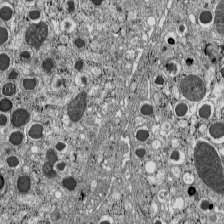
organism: C57BL Mouse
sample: Pancreatic islet